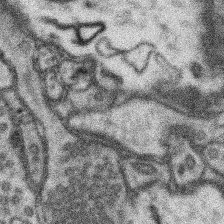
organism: Mouse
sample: Somatosensory cortex neuropil